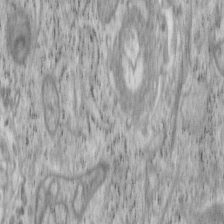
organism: Human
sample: HeLa cells